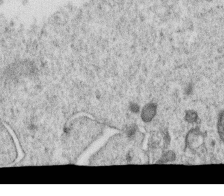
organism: C. elegans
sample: C. elegans oocyte; sperm cells